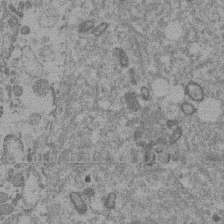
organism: Mouse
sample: Dividing mouse embryo 1 cell stage